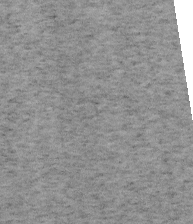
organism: Mouse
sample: OT-I killer T cells with ID8 ovarian cancer cells